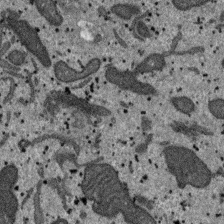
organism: Human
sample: Lung epithelial cells, uninfected (mock) control